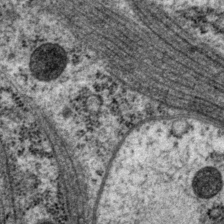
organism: P. pacificus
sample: Pharynx